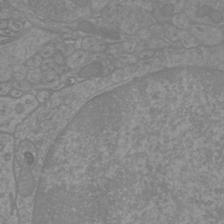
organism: Mouse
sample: Cortical neurons